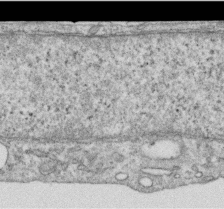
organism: Human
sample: Centriole in RPE cells